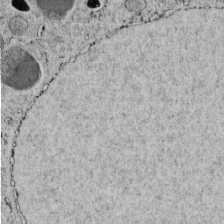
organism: C. elegans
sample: C. elegans embryo early stage